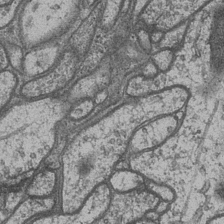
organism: Drosophila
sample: Optic medulla